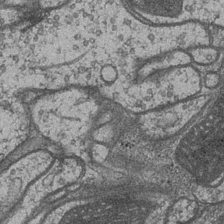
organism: Drosophila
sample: Optic medulla